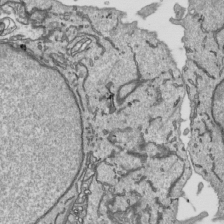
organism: Human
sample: Mitochondria in HCT116 cells